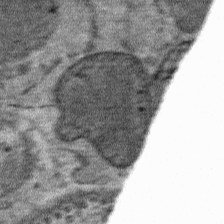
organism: Mouse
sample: Mouse Salivary gland